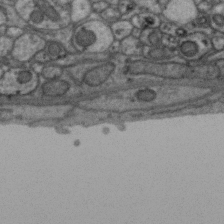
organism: Zebra finch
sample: Brain